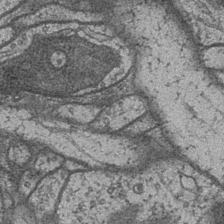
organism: Drosophila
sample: Optic medulla